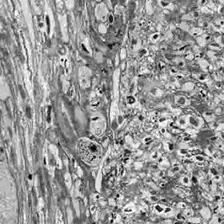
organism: Drosophila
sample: Optic lobe